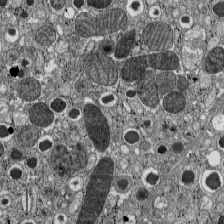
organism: C57BL Mouse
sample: Pancreatic islet